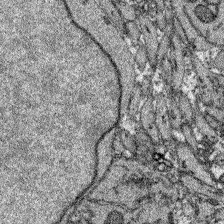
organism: Zebrafish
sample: Larval olfactory bulb